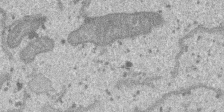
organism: Human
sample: Lung epithelial cells infected with SARS-CoV-2